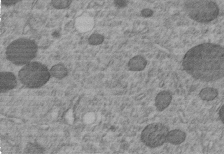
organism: C. elegans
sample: C. elegans embryo early stage